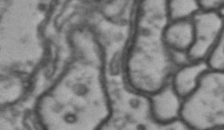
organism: Drosophila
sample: Brain